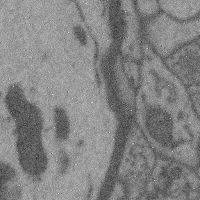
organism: Mouse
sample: Cerebral cortex